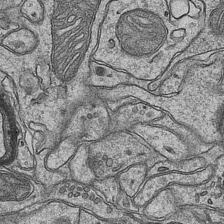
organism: Mouse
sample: CA1 Hippocampus